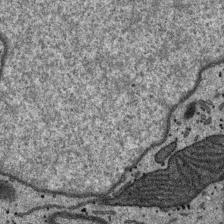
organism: Human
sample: Lung epithelial cells, uninfected (mock) control